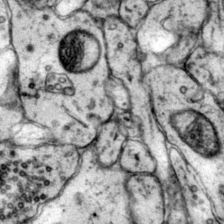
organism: Mouse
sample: Primary visual cortex